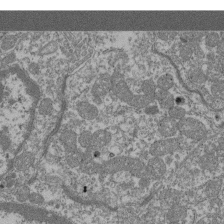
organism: Mouse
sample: Glomerulus